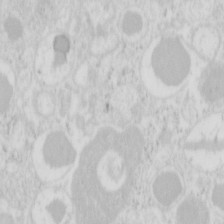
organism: Mouse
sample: Pancreas